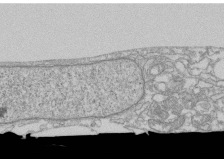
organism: Human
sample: CRL-1474